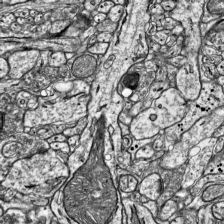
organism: Mouse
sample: Visual Cortex